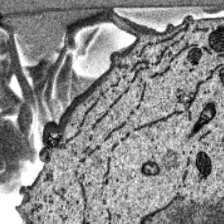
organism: Human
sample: HeLa cells